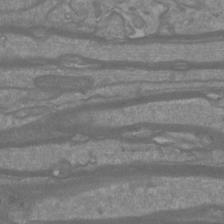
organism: Mouse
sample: Cortical neurons